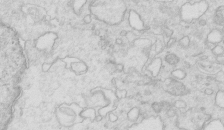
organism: Mouse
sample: Multiciliated cells